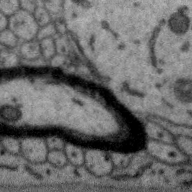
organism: Zebra finch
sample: Brain